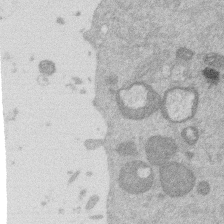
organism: Mouse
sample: Dividing mouse embryo 1 cell stage